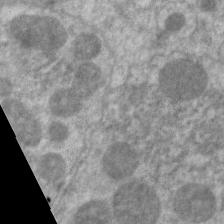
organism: C. elegans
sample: Pharynx